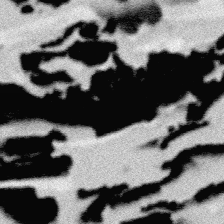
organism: Platynereis dumerilii